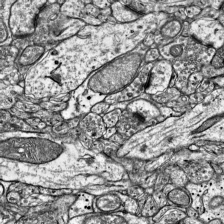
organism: Mouse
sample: Visual Cortex